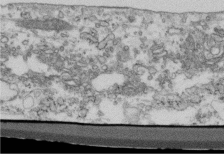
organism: Mouse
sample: Cilia; retinal pigment epithelium